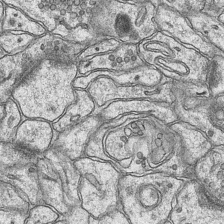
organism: Mouse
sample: CA1 Hippocampus